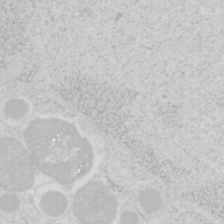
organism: Mouse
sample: Pancreas